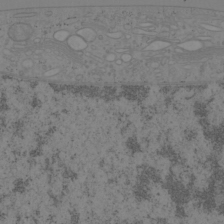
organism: Human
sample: HeLa cells